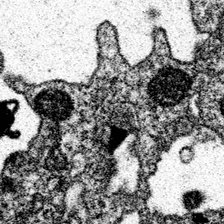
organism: Spongilla lacustris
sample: Neuroid cell